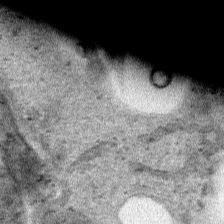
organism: Human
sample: Mitochondria in HCT116 cells